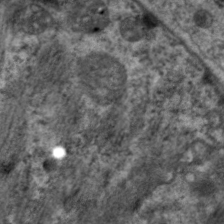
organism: C. elegans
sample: Pharynx